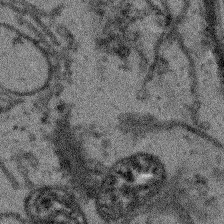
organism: Arabidopsis thaliana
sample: Root tip